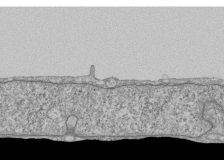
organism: Human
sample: Fibroblast cells